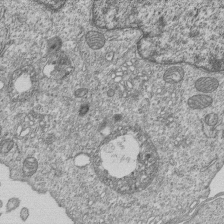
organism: Human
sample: MDA-MB-231 cells